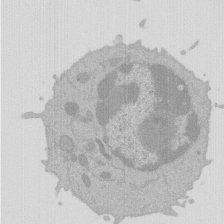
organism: Mouse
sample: Activated Pmel transgenic CD8+ T Cells